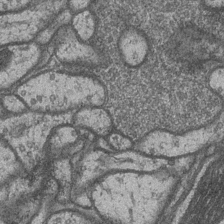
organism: Drosophila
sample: Optic medulla